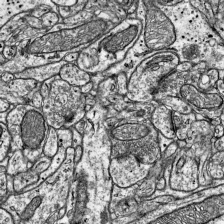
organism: Mouse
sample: Visual Cortex